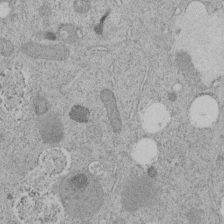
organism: C. elegans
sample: C. elegans embryo early stage